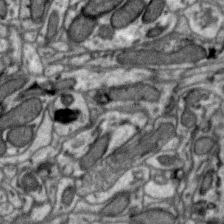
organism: Zebra finch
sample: Brain